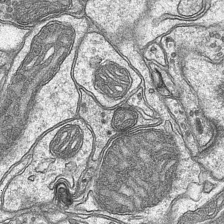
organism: Mouse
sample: CA1 Hippocampus